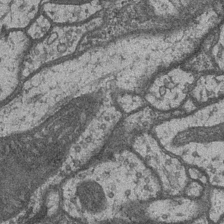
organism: Drosophila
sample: Optic medulla